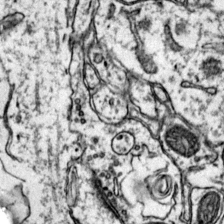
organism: Mouse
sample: Primary visual cortex